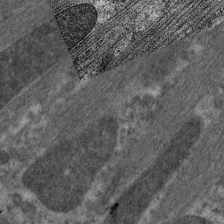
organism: C. elegans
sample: Pharynx